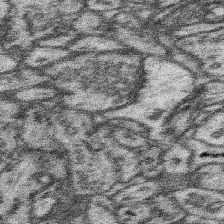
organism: Mouse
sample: Somatosensory cortex neuropil